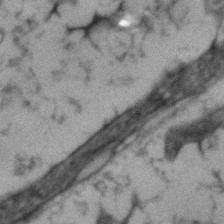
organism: Human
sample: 1205lu cells